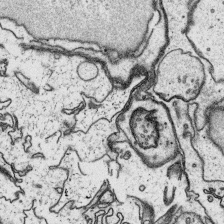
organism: Platynereis dumerilii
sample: Parapodia